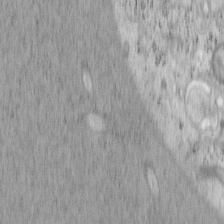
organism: Human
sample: HeLa cells